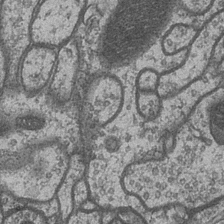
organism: Drosophila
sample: Optic medulla